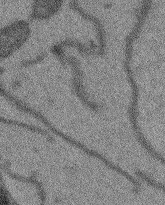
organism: Arabidopsis thaliana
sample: Root tip